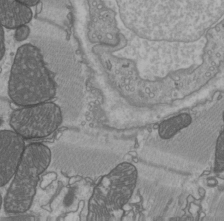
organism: C57BL Mouse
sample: Heart